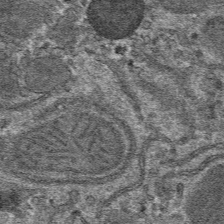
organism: Mouse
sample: Mouse hepatocytes